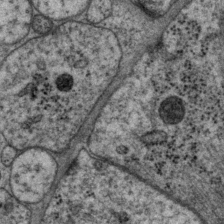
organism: P. pacificus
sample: Pharynx